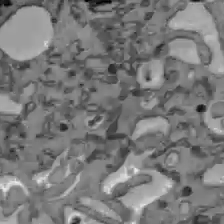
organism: C57BL Mouse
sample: Liver